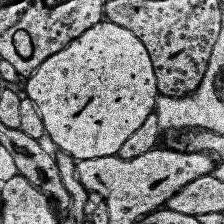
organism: Human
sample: Temporal Lobe